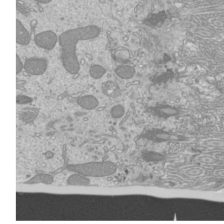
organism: Mouse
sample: Cilia; mouse epididymis